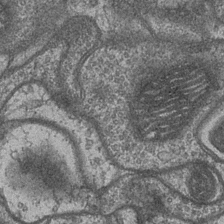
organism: Drosophila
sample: Optic medulla